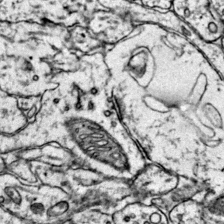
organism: Mouse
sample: Primary visual cortex